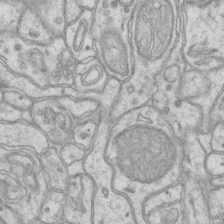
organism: Mouse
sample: CA1 Hippocampus